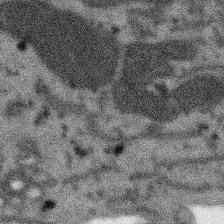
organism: Human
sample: Lung epithelial cells infected with SARS-CoV-2